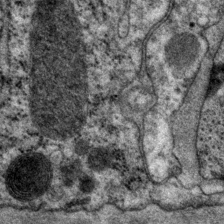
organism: P. pacificus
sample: Pharynx